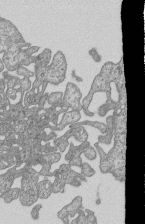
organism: Human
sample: MDA-MB-231 cells